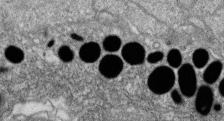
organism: Zebrafish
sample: Cilia; retinal pigment epithelium